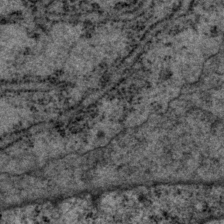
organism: P. pacificus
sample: Pharynx